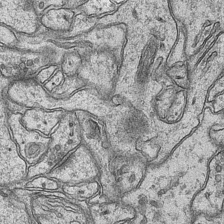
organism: Mouse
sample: CA1 Hippocampus